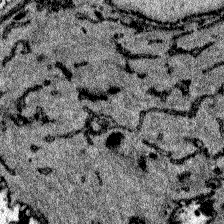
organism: Zebrafish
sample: Larval olfactory bulb